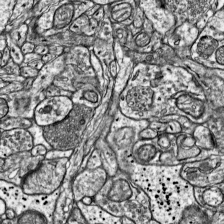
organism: Mouse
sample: Visual Cortex